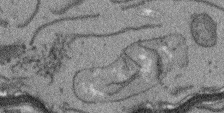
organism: Arabidopsis thaliana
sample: Root tip